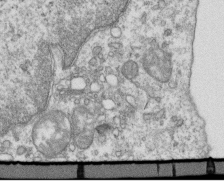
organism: Mouse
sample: Activated OT-1 CD8+ T cells